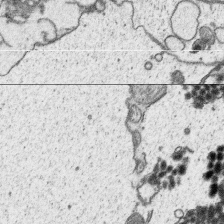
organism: Platynereis dumerilii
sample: Parapodia